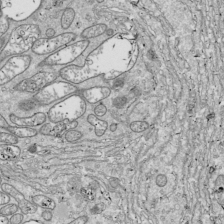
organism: Drosophila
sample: Cell division; meiosis; drosophila spermatocytes